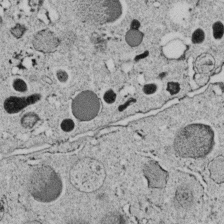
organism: C. elegans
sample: C. elegans embryo early stage